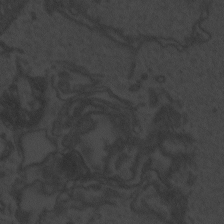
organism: Zebrafish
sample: Macrophage infected with Toxoplasma gondii